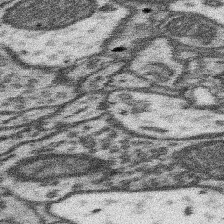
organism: Mouse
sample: Somatosensory cortex neuropil